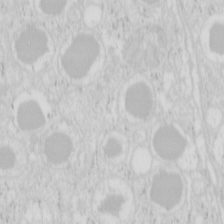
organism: Mouse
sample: Pancreas